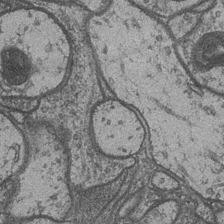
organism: Drosophila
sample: Optic medulla